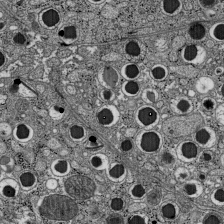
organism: C57BL Mouse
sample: Pancreatic islet